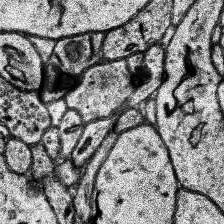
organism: Human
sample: Temporal Lobe